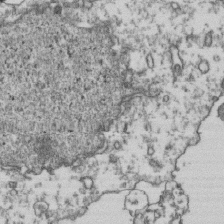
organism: Human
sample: Activated Jurkat CD4+ T cells